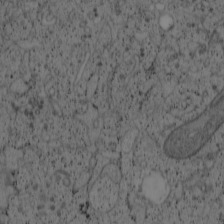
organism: African green monkey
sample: COS-7 cells